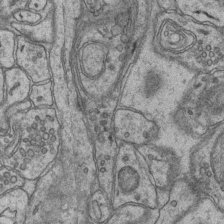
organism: Mouse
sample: CA1 Hippocampus